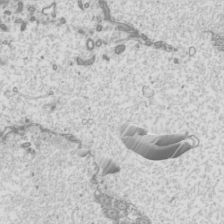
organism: Mouse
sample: Cilia; mouse epididymis